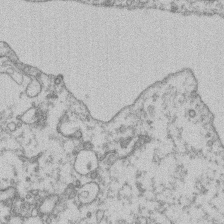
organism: Mouse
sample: T cell stromal cell synapse